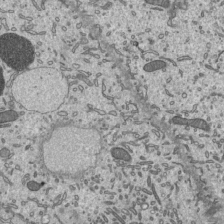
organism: Mouse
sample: Mouse epididymis efferent ductule cilia